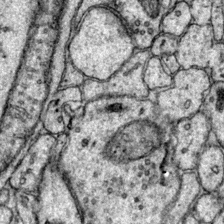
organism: Mouse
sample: Primary visual cortex